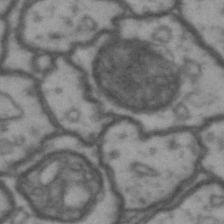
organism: Drosophila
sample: Brain